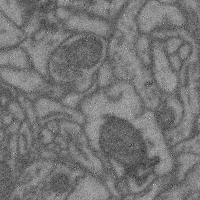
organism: Mouse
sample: Cerebral cortex